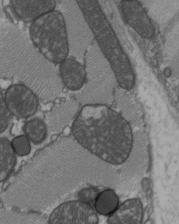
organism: C57BL Mouse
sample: Heart